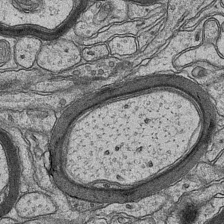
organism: Mouse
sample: CA1 Hippocampus